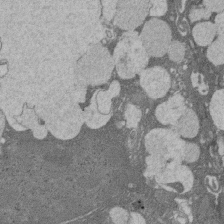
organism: Rat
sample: Salivary granule